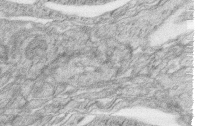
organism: Zebrafish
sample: synaptic ribbons in rod cells and cone cells